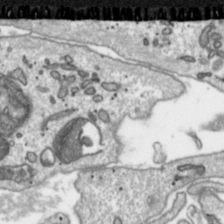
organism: Toxoplasma gondii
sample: Parasites in a vacuole inside a host cell